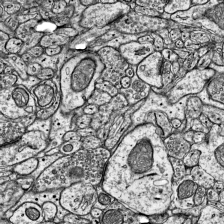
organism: Mouse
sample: Visual Cortex